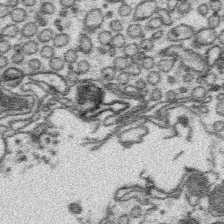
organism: Platynereis dumerilii